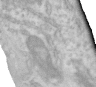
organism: Human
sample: Centriole in RPE cells